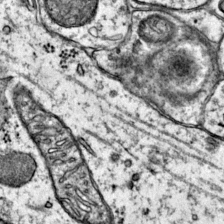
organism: Mouse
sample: Primary visual cortex